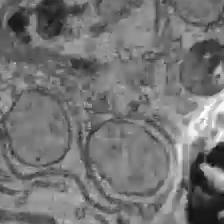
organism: C57BL Mouse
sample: Liver